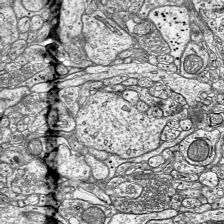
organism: Mouse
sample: Visual Cortex